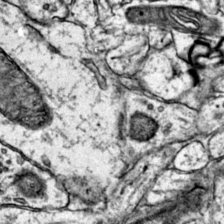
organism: Mouse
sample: Primary visual cortex